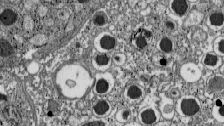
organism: C57BL Mouse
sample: Pancreatic islet